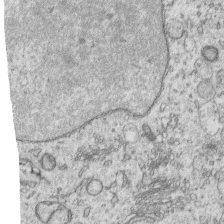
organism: Human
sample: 1205lu cells